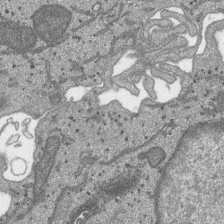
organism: Human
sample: Lung epithelial cells infected with SARS-CoV-2